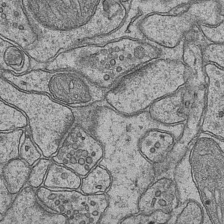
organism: Mouse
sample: CA1 Hippocampus